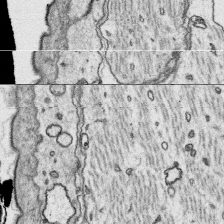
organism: Platynereis dumerilii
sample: Parapodia